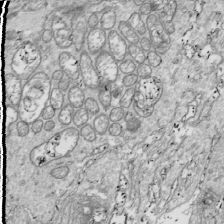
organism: Drosophila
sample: Cell division; meiosis; drosophila spermatocytes